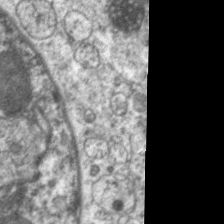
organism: C. elegans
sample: Pharynx